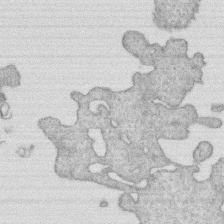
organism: Human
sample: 1205lu cells